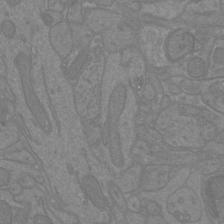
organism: Mouse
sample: Cortical neurons